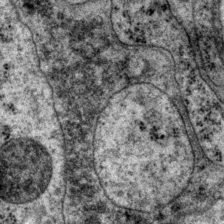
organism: P. pacificus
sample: Pharynx